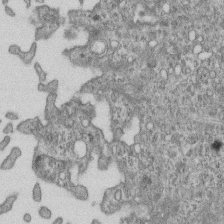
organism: Mouse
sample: Centriole in ependymal cells